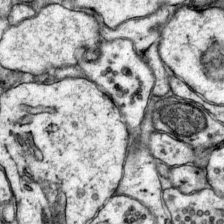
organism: Mouse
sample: Primary visual cortex